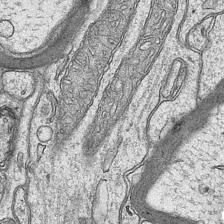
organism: Mouse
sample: CA1 Hippocampus